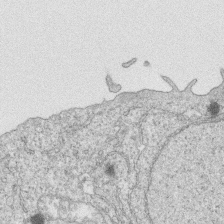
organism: Human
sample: HeLa cell HIV synapse